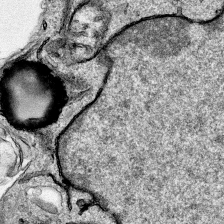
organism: Human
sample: Mitochondria in HCT116 cells